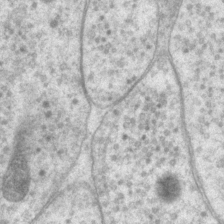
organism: P. pacificus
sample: Pharynx